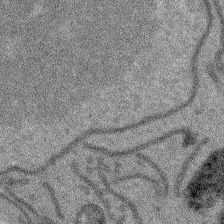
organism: Arabidopsis thaliana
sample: Root tip